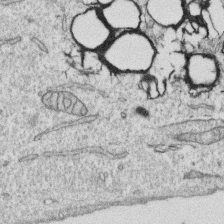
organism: Human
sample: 1205lu cells